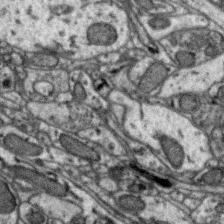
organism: Zebra finch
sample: Brain